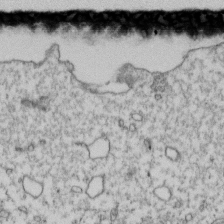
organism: Human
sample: Activated Jurkat CD4+ T cells